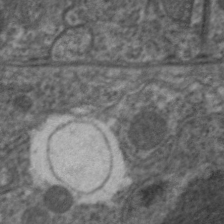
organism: C. elegans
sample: Pharynx